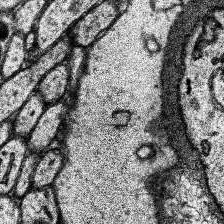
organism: Human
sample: Temporal Lobe